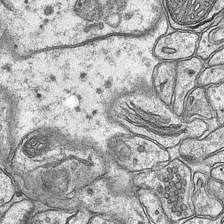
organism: Mouse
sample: CA1 Hippocampus